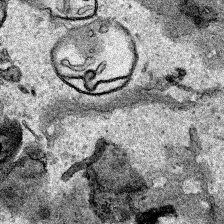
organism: Human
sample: Mitochondria in HCT116 cells